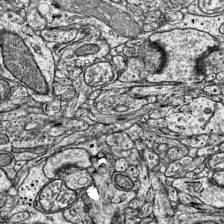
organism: Mouse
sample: Visual Cortex